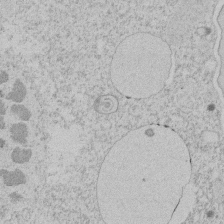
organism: Tetrahymena